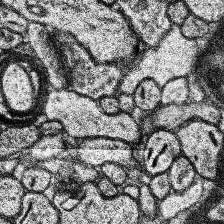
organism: Human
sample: Temporal Lobe